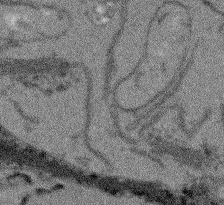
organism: Arabidopsis thaliana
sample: Root tip